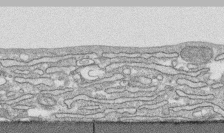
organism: Human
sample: CRL-1474